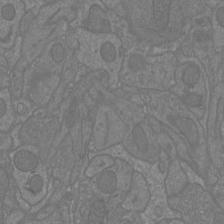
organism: Mouse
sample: Cortical neurons